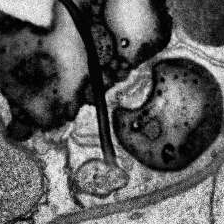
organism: Human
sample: Temporal Lobe